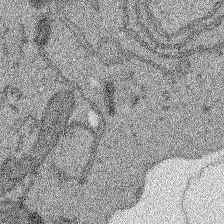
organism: Human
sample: HeLa cells